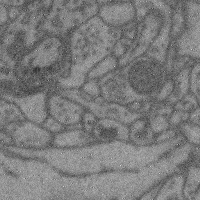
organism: Mouse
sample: Cerebral cortex